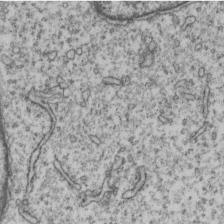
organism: Human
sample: MDA-MB-231 cells